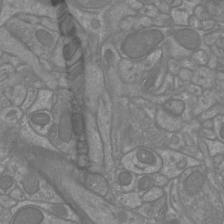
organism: Mouse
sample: Cortical neurons